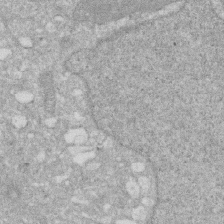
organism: Human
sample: HIV infected U937 cells